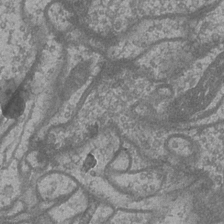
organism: Drosophila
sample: Optic medulla